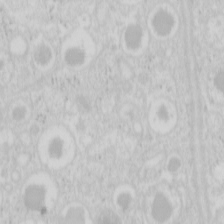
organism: Mouse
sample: Pancreas